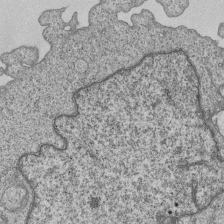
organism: Human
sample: MDA-MB-231 cells